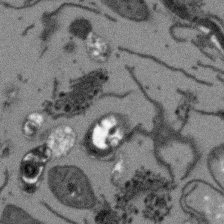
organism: Arabidopsis thaliana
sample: Root tip